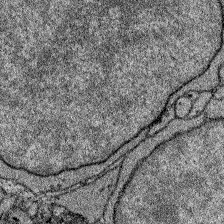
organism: Zebrafish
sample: Larval olfactory bulb